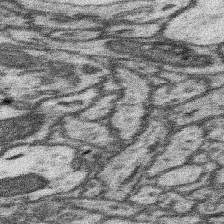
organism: Mouse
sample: Somatosensory cortex neuropil